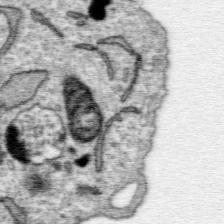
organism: Human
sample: HeLa cells